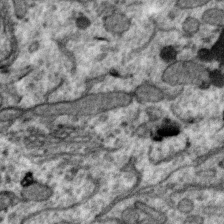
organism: Zebra finch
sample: Brain